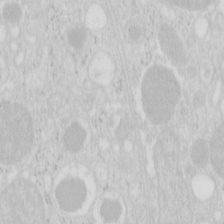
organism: Mouse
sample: Pancreas